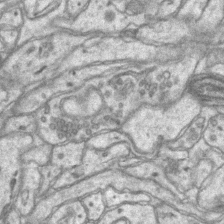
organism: Mouse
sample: CA1 Hippocampus